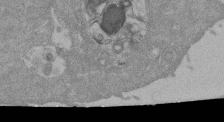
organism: Mouse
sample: ED-1 cell nuclei; centrioles